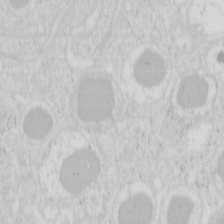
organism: Mouse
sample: Pancreas